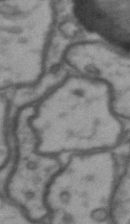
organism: Drosophila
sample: Brain